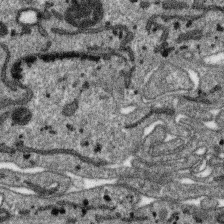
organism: Human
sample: Lung epithelial cells infected with SARS-CoV-2